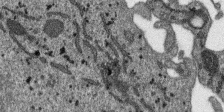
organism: Human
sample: Lung epithelial cells infected with SARS-CoV-2